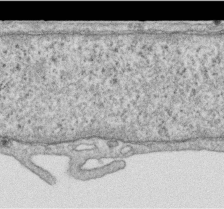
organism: Human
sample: Centriole in RPE cells